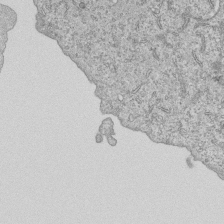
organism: Human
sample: MDA-MB-231 cells